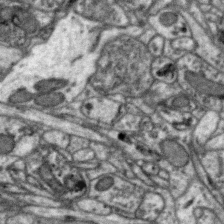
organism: Zebra finch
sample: Brain